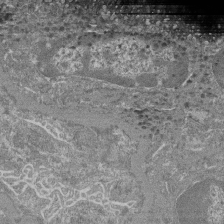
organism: Mouse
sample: Glomerulus